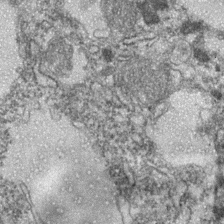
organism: Zebrafish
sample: Zebrafish embryo